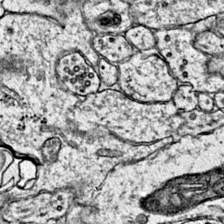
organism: Mouse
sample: Primary visual cortex